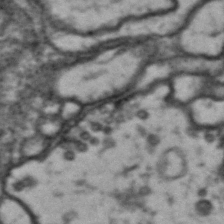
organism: Drosophila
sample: Brain